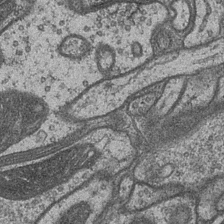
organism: Drosophila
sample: Optic medulla